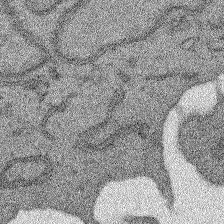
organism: Human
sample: HeLa cells